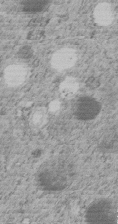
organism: C. elegans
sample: C. elegans embryo early stage